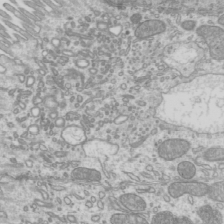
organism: Mouse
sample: Cilia; mouse epididymis